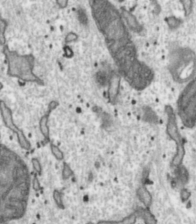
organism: Toxoplasma gondii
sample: Parasites in a vacuole inside a host cell